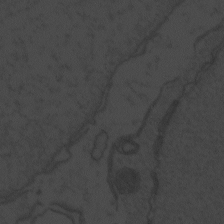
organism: Zebrafish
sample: Macrophage infected with Toxoplasma gondii